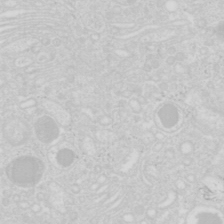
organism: Mouse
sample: Pancreas